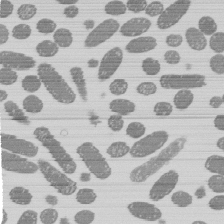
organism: E. coli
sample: Bacterial nucleoid